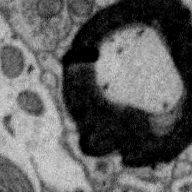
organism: Zebra finch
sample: Brain